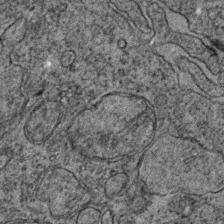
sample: Trachea